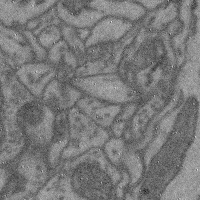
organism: Mouse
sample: Cerebral cortex